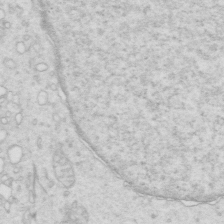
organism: Mouse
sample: Multiciliated cells